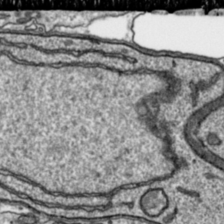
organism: Toxoplasma gondii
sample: Parasites in a vacuole inside a host cell